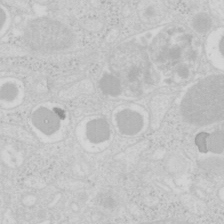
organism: Mouse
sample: Pancreas